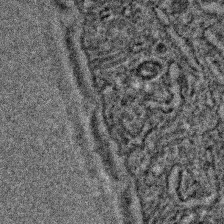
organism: C. elegans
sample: C. elegans embryo